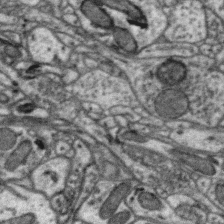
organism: Zebra finch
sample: Brain